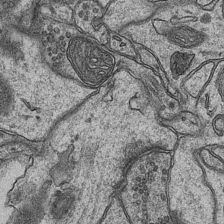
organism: Mouse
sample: CA1 Hippocampus